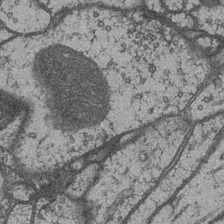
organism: Drosophila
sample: Optic medulla